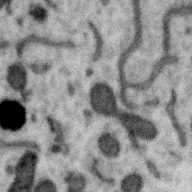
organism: Zebra finch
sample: Brain